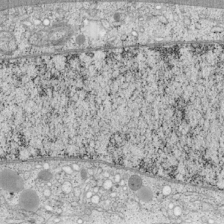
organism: African green monkey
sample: COS-7 cells